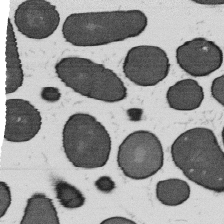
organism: B. subtilis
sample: Bacterial spore